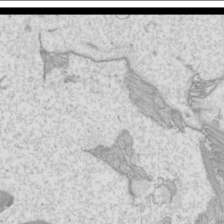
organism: Mouse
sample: Cilia; mouse epididymis